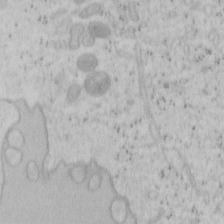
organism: Human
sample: HeLa cells